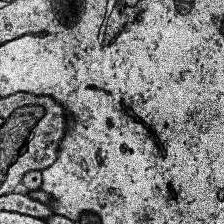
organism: Human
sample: Temporal Lobe